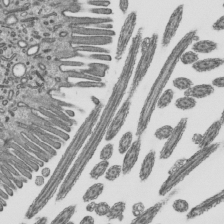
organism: Mouse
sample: Mouse epididymis efferent ductule cilia